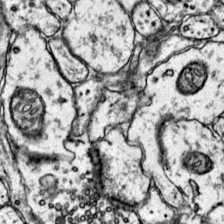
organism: Mouse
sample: Primary visual cortex